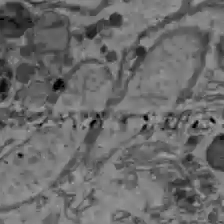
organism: C57BL Mouse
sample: Liver